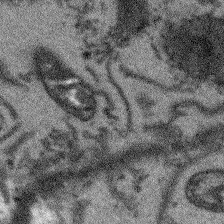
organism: Arabidopsis thaliana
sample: Root tip